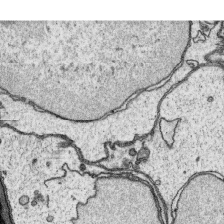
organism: Platynereis dumerilii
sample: Parapodia